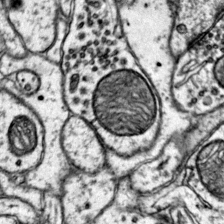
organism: Mouse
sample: Primary visual cortex